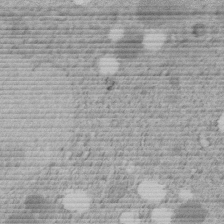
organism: C. elegans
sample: C. elegans embryo early stage